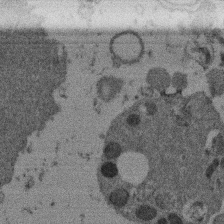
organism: Mouse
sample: Dividing mouse embryo 1 cell stage